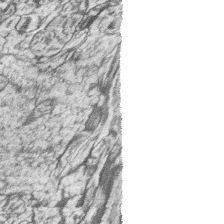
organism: Zebrafish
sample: synaptic ribbons in rod cells and cone cells